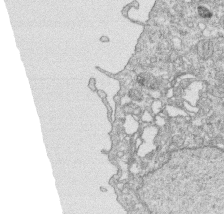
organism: Human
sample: HeLa cell HIV synapse